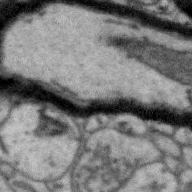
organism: Zebra finch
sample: Brain